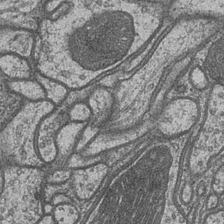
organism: Drosophila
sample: Optic medulla